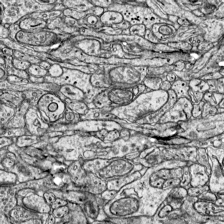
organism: Mouse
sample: Visual Cortex